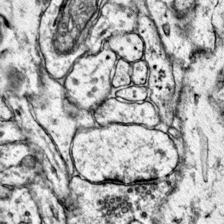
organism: Mouse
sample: Primary visual cortex